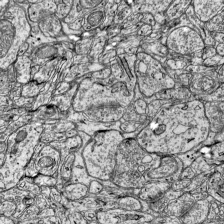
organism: Mouse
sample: Visual Cortex